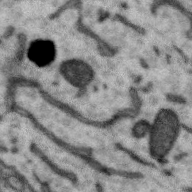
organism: Zebra finch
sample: Brain